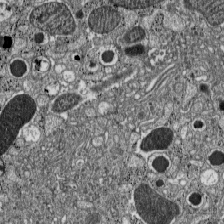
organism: C57BL Mouse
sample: Pancreatic islet